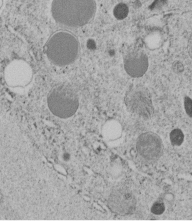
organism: C. elegans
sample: C. elegans embryo early stage